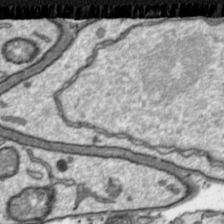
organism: Toxoplasma gondii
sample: Parasites in a vacuole inside a host cell